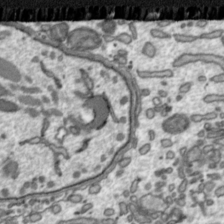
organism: Toxoplasma gondii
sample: Parasites in a vacuole inside a host cell